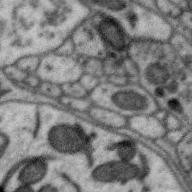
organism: Zebra finch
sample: Brain